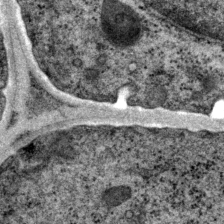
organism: P. pacificus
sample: Pharynx